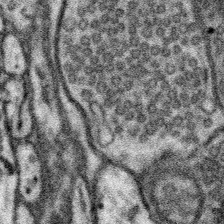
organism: Mouse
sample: Somatosensory cortex neuropil